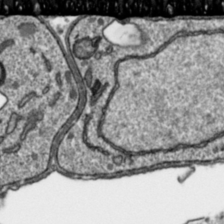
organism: Toxoplasma gondii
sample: Parasites in a vacuole inside a host cell